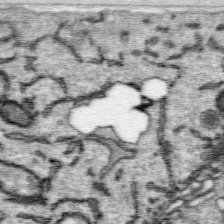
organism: Human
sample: HeLa cells